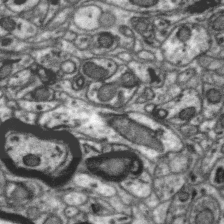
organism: Zebra finch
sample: Brain